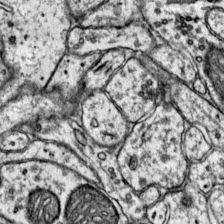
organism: Mouse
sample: Primary visual cortex